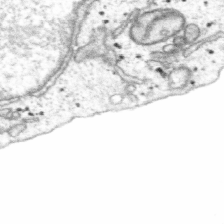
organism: Human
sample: HeLa cells